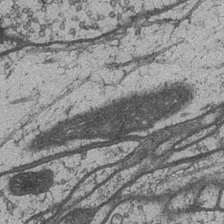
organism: Drosophila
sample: Optic medulla